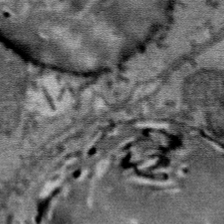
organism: Mouse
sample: Mouse Salivary gland